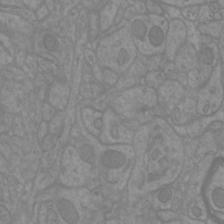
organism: Mouse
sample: Cortical neurons